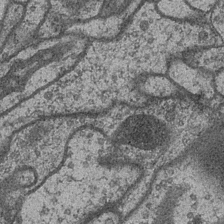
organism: Drosophila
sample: Optic medulla